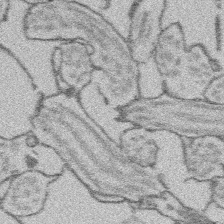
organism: Platynereis dumerilii